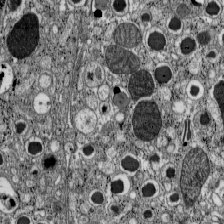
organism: C57BL Mouse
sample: Pancreatic islet